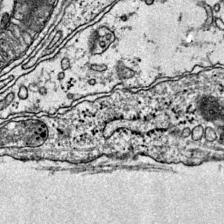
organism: Mouse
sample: Primary visual cortex